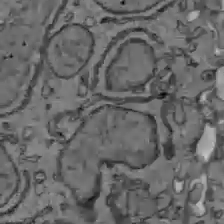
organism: C57BL Mouse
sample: Liver